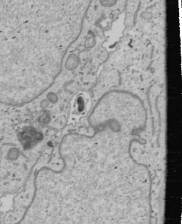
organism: Human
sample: Mitochondria in U2OS cells